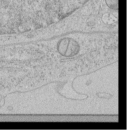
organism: Human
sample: Mitochondria in HCT116 cells